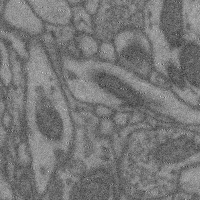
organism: Mouse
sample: Cerebral cortex